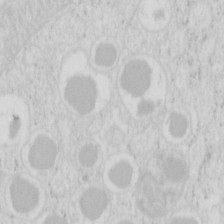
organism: Mouse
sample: Pancreas